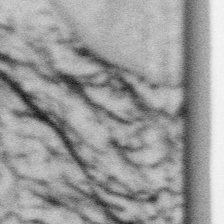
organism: Gemmata obscuriglobus